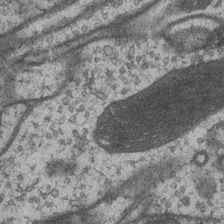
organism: Drosophila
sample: Optic medulla